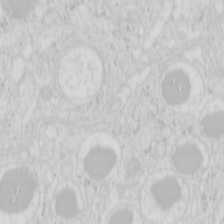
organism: Mouse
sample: Pancreas